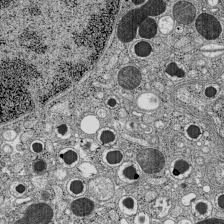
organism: C57BL Mouse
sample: Pancreatic islet